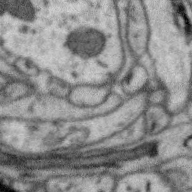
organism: Zebra finch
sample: Brain